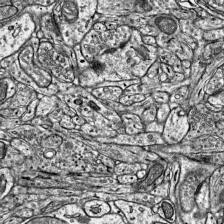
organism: Mouse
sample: Visual Cortex